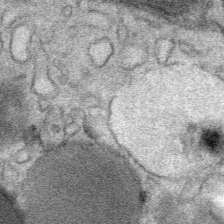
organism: Mouse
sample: Mouse Salivary gland